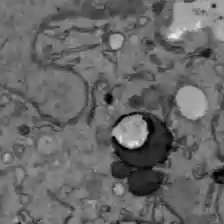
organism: C57BL Mouse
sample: Liver